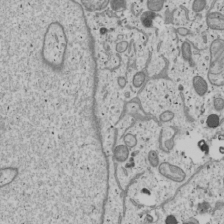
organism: Human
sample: Mitochondria in U2OS cells